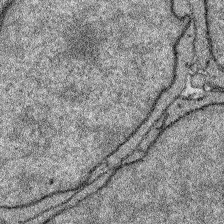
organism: Zebrafish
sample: Larval olfactory bulb